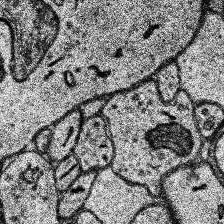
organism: Human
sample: Temporal Lobe